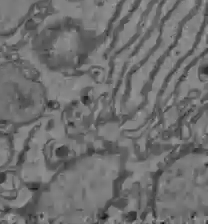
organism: C57BL Mouse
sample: Liver